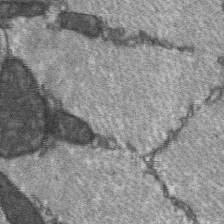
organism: C57BL Mouse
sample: Soleus